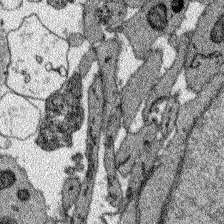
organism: Zebrafish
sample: Larval olfactory bulb